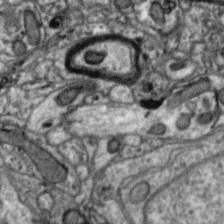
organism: Zebra finch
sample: Brain